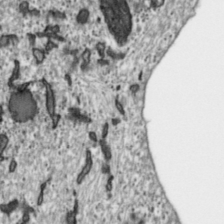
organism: Toxoplasma gondii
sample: Parasites in a vacuole inside a host cell